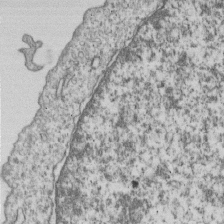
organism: Human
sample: MDA-MB-231 cells